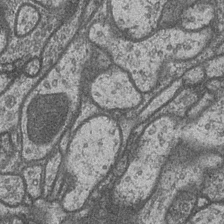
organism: Drosophila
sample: Optic medulla